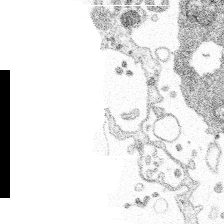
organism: Spongilla lacustris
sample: Multiple